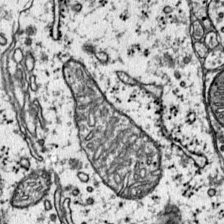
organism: Mouse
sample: Primary visual cortex